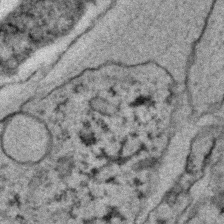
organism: C. elegans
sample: C. elegans embryo